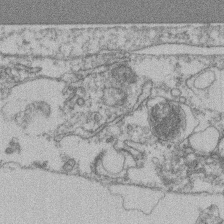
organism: Mouse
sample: T cell stromal cell synapse